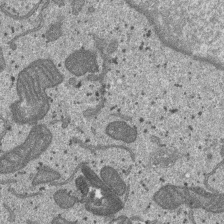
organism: Human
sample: Lung epithelial cells infected with SARS-CoV-2